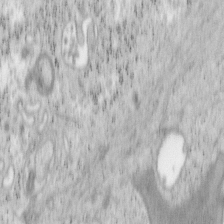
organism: Human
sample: HeLa cells